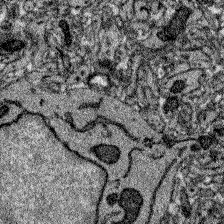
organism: Zebrafish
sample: Larval olfactory bulb